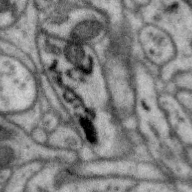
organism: Zebra finch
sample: Brain